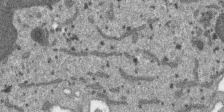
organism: Human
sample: Lung epithelial cells infected with SARS-CoV-2